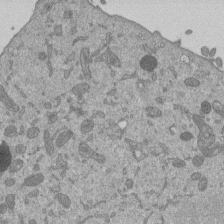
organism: Mouse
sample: ED-1 cell nuclei; centrioles